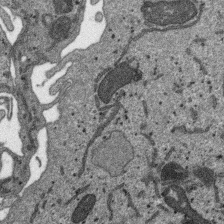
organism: Human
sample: Lung epithelial cells infected with SARS-CoV-2